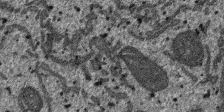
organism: Human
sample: Lung epithelial cells infected with SARS-CoV-2